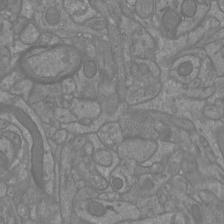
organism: Mouse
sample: Cortical neurons